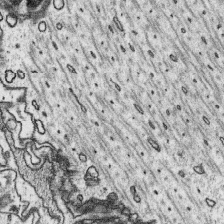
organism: Platynereis dumerilii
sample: Parapodia